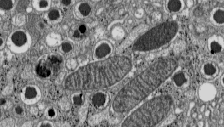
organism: C57BL Mouse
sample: Pancreatic islet